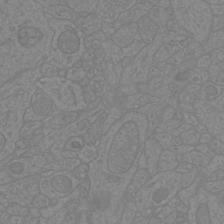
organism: Mouse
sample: Cortical neurons